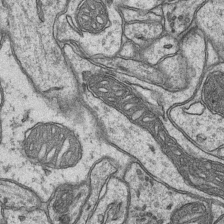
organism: Mouse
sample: CA1 Hippocampus